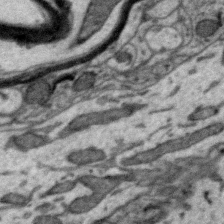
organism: Zebra finch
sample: Brain